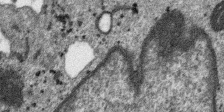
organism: Human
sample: Lung epithelial cells infected with SARS-CoV-2